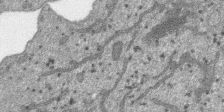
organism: Human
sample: Lung epithelial cells infected with SARS-CoV-2